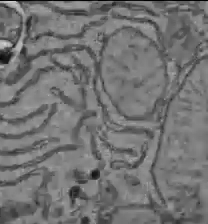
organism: C57BL Mouse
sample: Liver